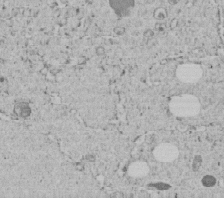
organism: C. elegans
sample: C. elegans embryo early stage